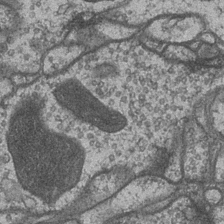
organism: Drosophila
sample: Optic medulla